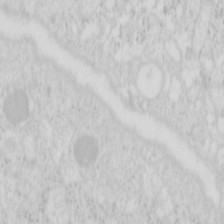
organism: Mouse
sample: Pancreas